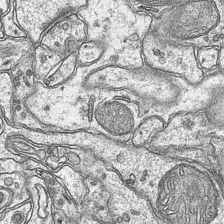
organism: Mouse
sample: CA1 Hippocampus